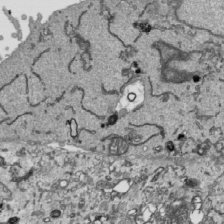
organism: Human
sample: Mitochondria in HCT116 cells